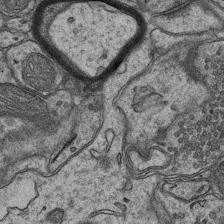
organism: Mouse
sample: CA1 Hippocampus